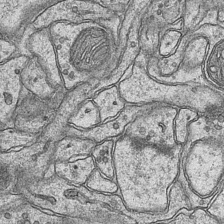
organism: Mouse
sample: CA1 Hippocampus